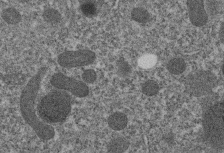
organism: C. elegans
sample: C. elegans embryo early stage